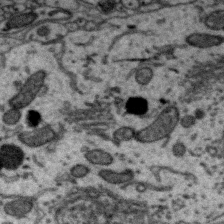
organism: Zebra finch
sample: Brain